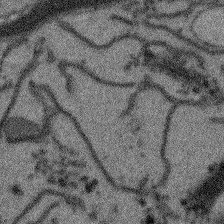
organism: Arabidopsis thaliana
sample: Root tip